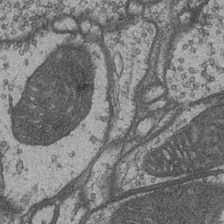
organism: Drosophila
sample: Optic medulla